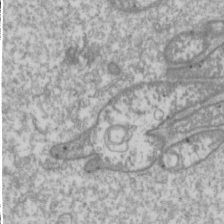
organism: Drosophila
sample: Cell division; meiosis; drosophila spermatocytes